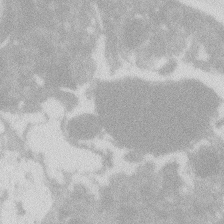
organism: Zebrafish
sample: Macrophage